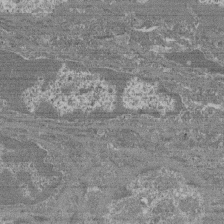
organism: Mouse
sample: Glomerulus